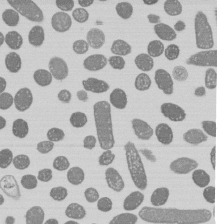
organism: E. coli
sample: Bacterial nucleoid